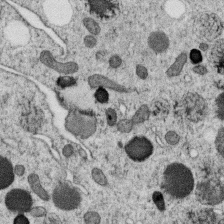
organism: C. elegans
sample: C. elegans oocyte; sperm cells